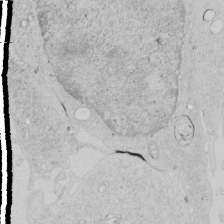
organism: Human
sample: Mitochondria in HCT116 cells